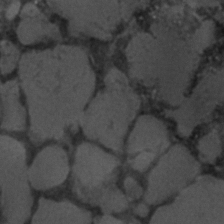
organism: C. elegans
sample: C. elegans embryo